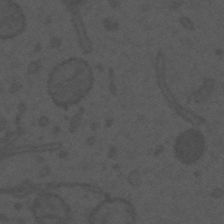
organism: Mouse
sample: Suprachiasmatic nucleus